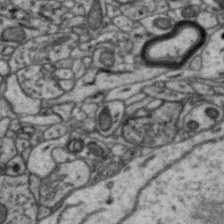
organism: Zebra finch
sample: Brain